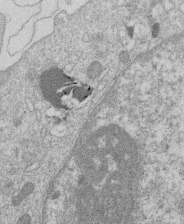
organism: Human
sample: Macrophage cells